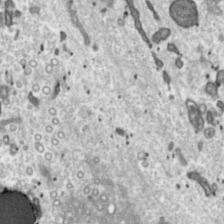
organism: Toxoplasma gondii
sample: Parasites in a vacuole inside a host cell